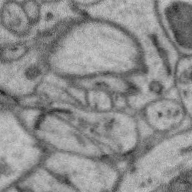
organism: Zebra finch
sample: Brain